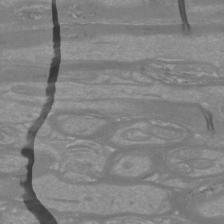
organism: Mouse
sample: Cortical neurons